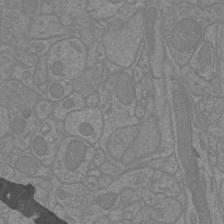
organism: Mouse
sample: Cortical neurons